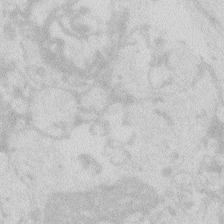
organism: Zebrafish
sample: Macrophage